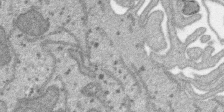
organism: Human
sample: Lung epithelial cells infected with SARS-CoV-2